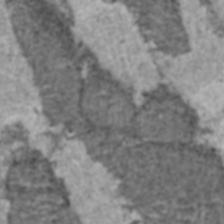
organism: C57BL Mouse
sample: Heart